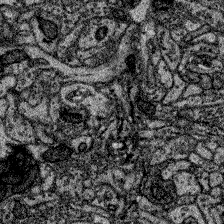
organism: Zebrafish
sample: Larval olfactory bulb